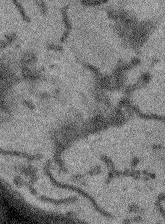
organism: Arabidopsis thaliana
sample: Root tip